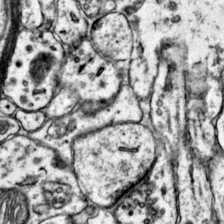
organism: Mouse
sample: Primary visual cortex